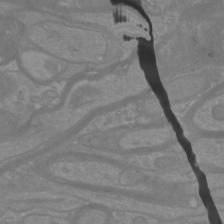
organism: Mouse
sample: Cortical neurons